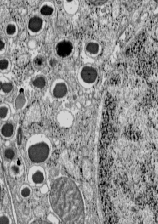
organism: C57BL Mouse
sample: Pancreatic islet